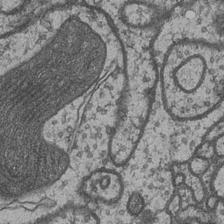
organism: Drosophila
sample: Optic medulla